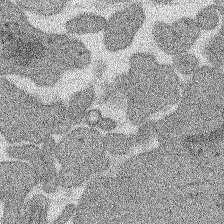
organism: Human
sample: HeLa cells